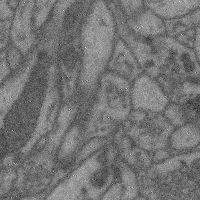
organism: Mouse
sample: Cerebral cortex